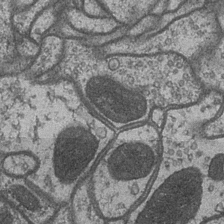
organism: Drosophila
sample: Optic medulla